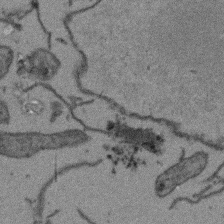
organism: Arabidopsis thaliana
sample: Root tip